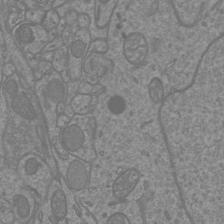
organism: Mouse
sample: Cortical neurons